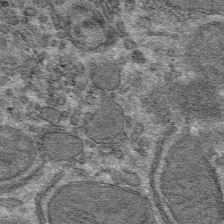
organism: Mouse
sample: Mouse hepatocytes